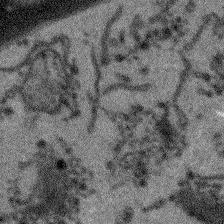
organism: Arabidopsis thaliana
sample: Root tip